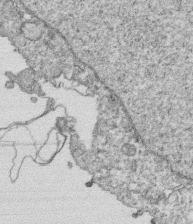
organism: Human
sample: HeLa cell HIV synapse